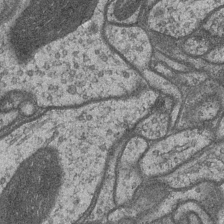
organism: Drosophila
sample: Optic medulla